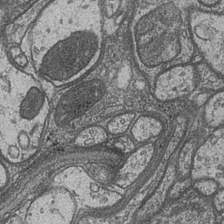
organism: Drosophila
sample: Optic medulla